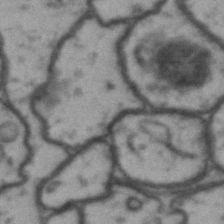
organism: Drosophila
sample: Brain